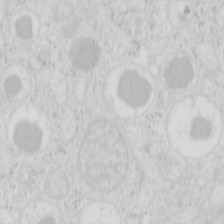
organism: Mouse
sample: Pancreas